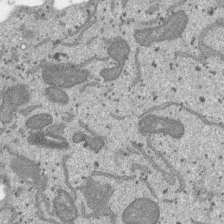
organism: Human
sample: Lung epithelial cells infected with SARS-CoV-2